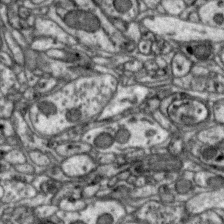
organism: Zebra finch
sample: Brain